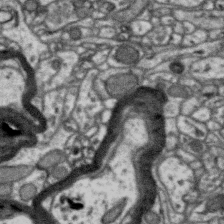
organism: Zebra finch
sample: Brain